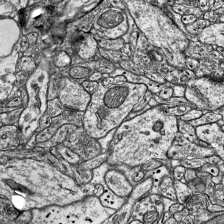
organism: Mouse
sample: Visual Cortex